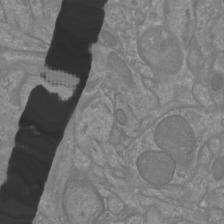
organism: Mouse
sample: Cortical neurons